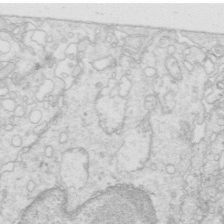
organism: Mouse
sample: Multiciliated cells